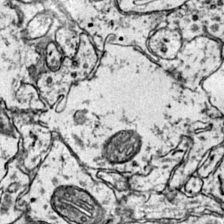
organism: Mouse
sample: Primary visual cortex